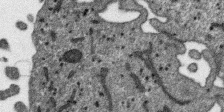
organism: Human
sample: Lung epithelial cells infected with SARS-CoV-2